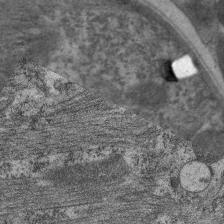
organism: C. elegans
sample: Pharynx